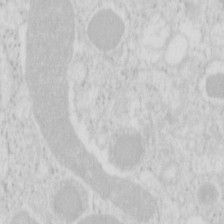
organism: Mouse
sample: Pancreas